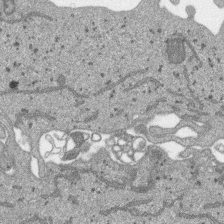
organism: Human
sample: Lung epithelial cells infected with SARS-CoV-2